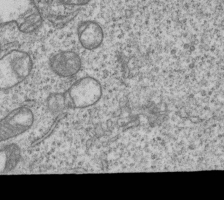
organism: Human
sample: MDA-MB-231 cells